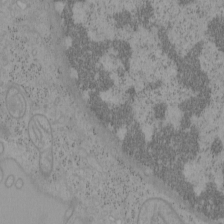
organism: Mouse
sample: OT-I killer T cells with ID8 ovarian cancer cells